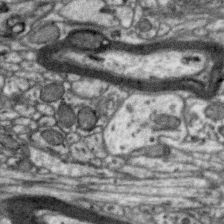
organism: Zebra finch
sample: Brain